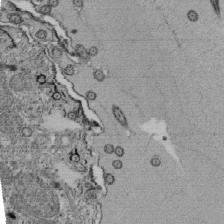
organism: Tetrahymena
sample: Cilia in tetrahymena